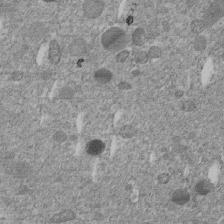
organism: C. elegans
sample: C. elegans embryo early stage